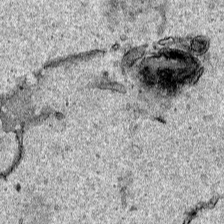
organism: Human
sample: Mitochondria in HCT116 cells